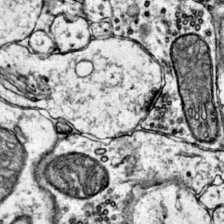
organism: Mouse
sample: Primary visual cortex